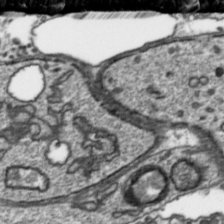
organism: Toxoplasma gondii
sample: Parasites in a vacuole inside a host cell